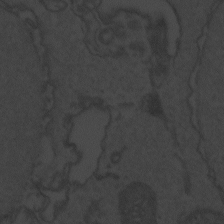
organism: Zebrafish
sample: Macrophage infected with Toxoplasma gondii